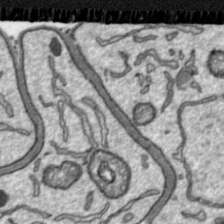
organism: Toxoplasma gondii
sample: Parasites in a vacuole inside a host cell